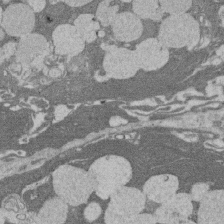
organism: Rat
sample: Salivary granule